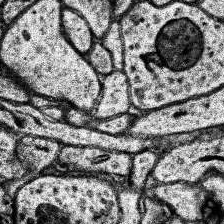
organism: Human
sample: Temporal Lobe